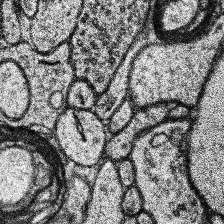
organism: Human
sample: Temporal Lobe